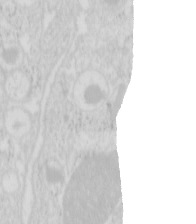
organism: Mouse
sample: Pancreas